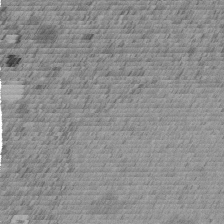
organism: C. elegans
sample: C. elegans embryo early stage